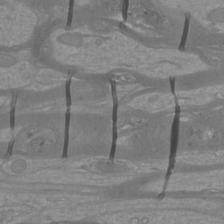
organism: Mouse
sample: Cortical neurons